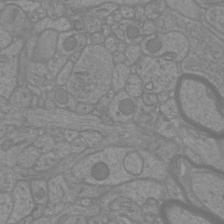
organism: Mouse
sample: Cortical neurons